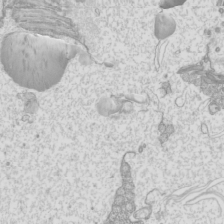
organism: Mouse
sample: Cilia; mouse epididymis